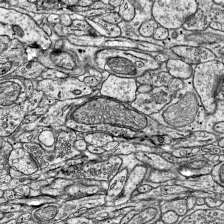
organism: Mouse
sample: Visual Cortex